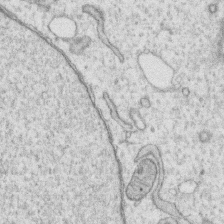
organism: Human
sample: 1205lu cells